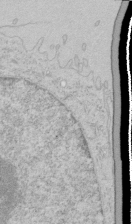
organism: Human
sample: Mitochondria in HCT116 cells